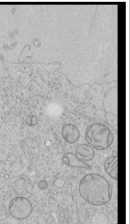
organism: Human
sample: Mitochondria in HCT116 cells